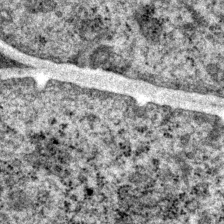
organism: P. pacificus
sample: Pharynx